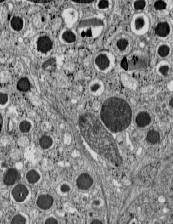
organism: C57BL Mouse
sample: Pancreatic islet